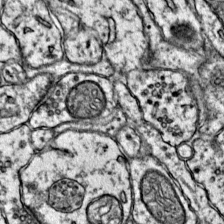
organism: Mouse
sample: Primary visual cortex